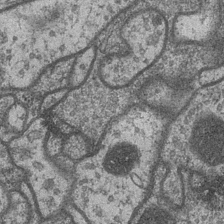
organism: Drosophila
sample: Optic medulla